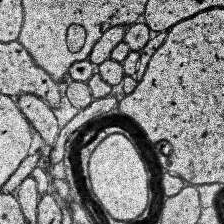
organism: Human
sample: Temporal Lobe